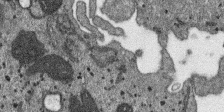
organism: Human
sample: Lung epithelial cells infected with SARS-CoV-2